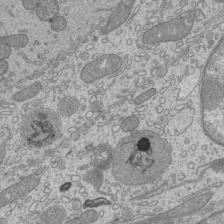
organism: Mouse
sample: Cilia; mouse epididymis